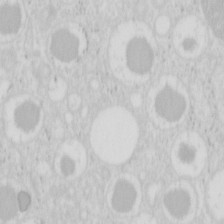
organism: Mouse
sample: Pancreas